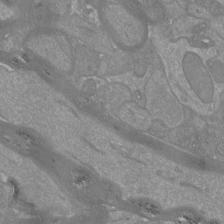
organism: Mouse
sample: Cortical neurons